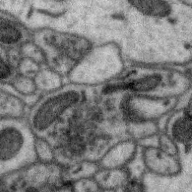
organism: Zebra finch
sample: Brain